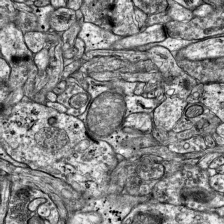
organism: Mouse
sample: Visual Cortex